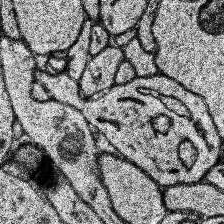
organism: Human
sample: Temporal Lobe